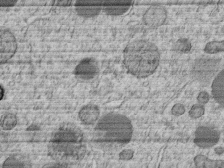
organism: C. elegans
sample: C. elegans embryo early stage